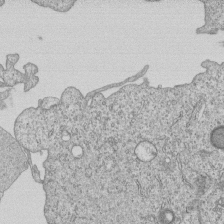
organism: Human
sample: MDA-MB-231 cells